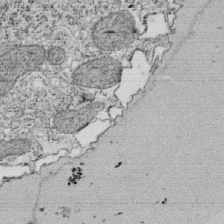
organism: Tetrahymena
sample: Cilia in tetrahymena